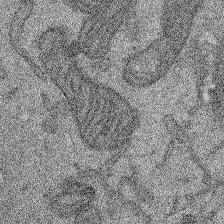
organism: Human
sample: HeLa cells